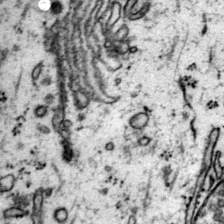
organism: Mouse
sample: Primary visual cortex